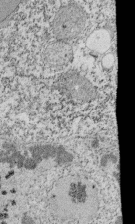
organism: Tetrahymena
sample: Cilia in tetrahymena